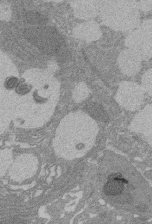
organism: Rat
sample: Salivary granule